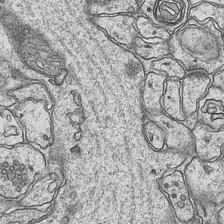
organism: Mouse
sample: CA1 Hippocampus